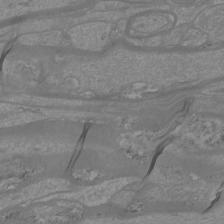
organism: Mouse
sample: Cortical neurons